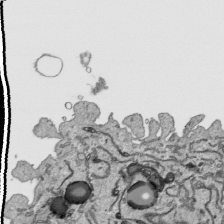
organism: Human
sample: Mitochondria in HCT116 cells